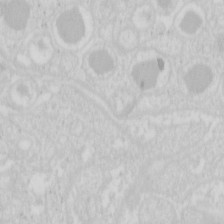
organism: Mouse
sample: Pancreas